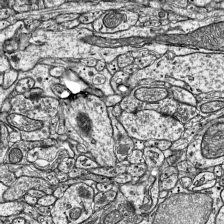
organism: Mouse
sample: Visual Cortex